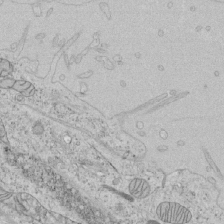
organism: Human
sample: Mitochondria in HCT116 cells